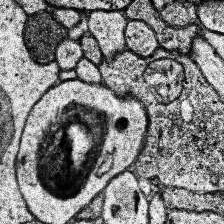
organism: Human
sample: Temporal Lobe